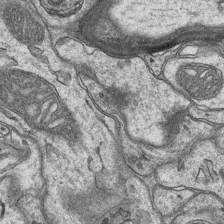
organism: Mouse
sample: CA1 Hippocampus